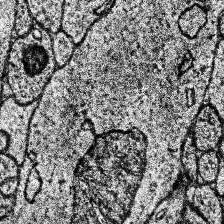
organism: Human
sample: Temporal Lobe